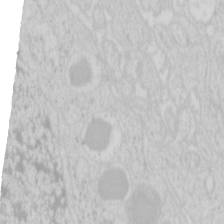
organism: Mouse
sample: Pancreas